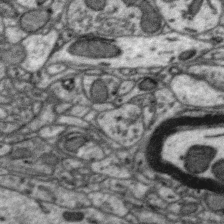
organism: Zebra finch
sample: Brain